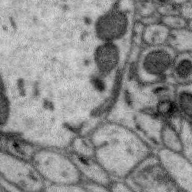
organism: Zebra finch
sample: Brain